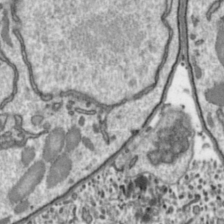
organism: Toxoplasma gondii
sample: Parasites in a vacuole inside a host cell